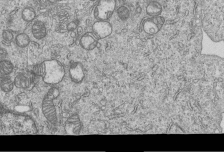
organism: Human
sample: MDA-MB-231 cells